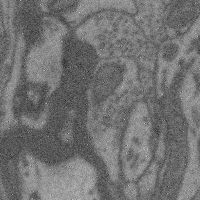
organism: Mouse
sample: Cerebral cortex